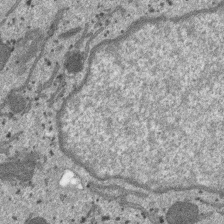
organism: Human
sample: Lung epithelial cells infected with SARS-CoV-2